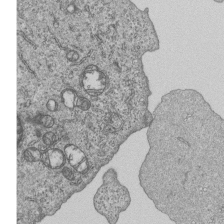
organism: Human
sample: MDA-MB-231 cells